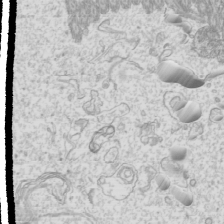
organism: Mouse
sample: Cilia; mouse epididymis